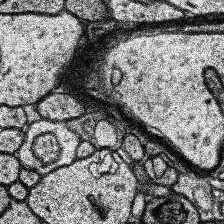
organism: Human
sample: Temporal Lobe